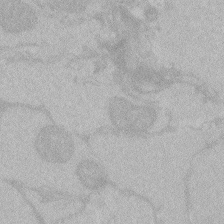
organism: Zebrafish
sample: Macrophage infected with Toxoplasma gondii